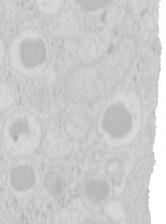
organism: Mouse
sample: Pancreas